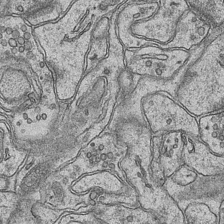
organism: Mouse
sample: CA1 Hippocampus